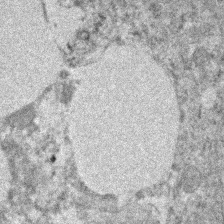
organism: Human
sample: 1205lu cells